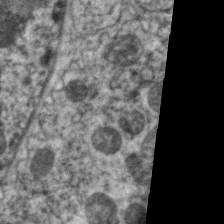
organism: C. elegans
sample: Pharynx